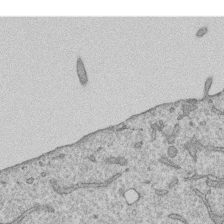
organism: Human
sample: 1205lu cells